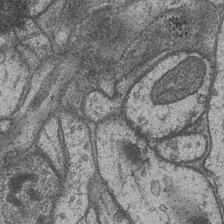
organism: Drosophila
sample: Optic medulla